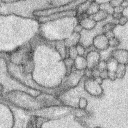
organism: Rabbit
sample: Retina